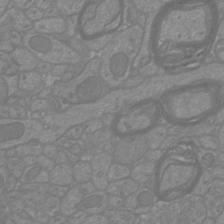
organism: Mouse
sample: Cortical neurons